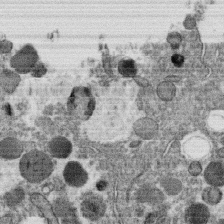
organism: C. elegans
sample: C. elegans oocyte; sperm cells